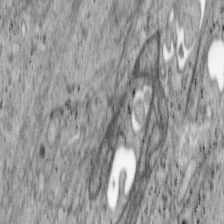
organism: Human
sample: HeLa cells